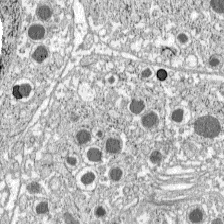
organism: C57BL Mouse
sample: Pancreatic islet